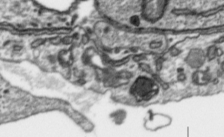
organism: Toxoplasma gondii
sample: Parasites in a vacuole inside a host cell